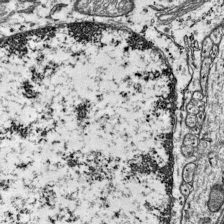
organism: Mouse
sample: Visual Cortex